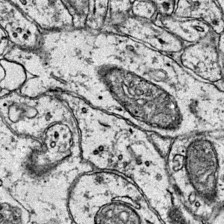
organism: Mouse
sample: Primary visual cortex